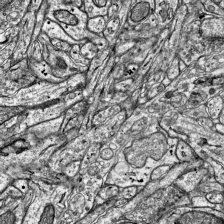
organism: Mouse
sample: Visual Cortex